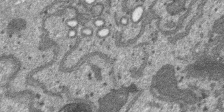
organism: Human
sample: Lung epithelial cells infected with SARS-CoV-2